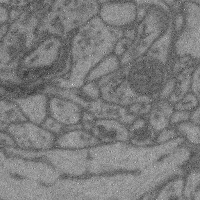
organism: Mouse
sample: Cerebral cortex